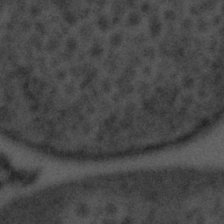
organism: Tuwongella immobilis